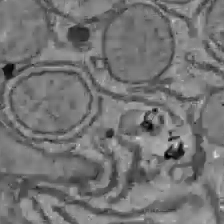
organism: C57BL Mouse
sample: Liver